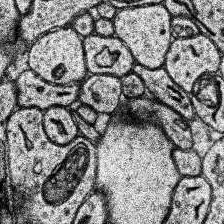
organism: Human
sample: Temporal Lobe